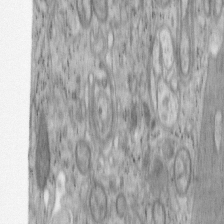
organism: Human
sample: HeLa cells